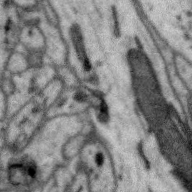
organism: Zebra finch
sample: Brain